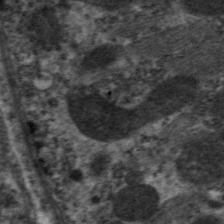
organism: C. elegans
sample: Pharynx